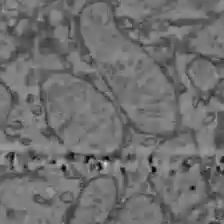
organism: C57BL Mouse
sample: Liver